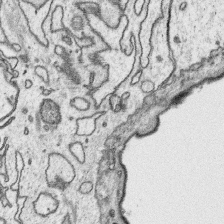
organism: Platynereis dumerilii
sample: Parapodia